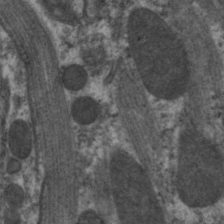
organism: C. elegans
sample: Pharynx